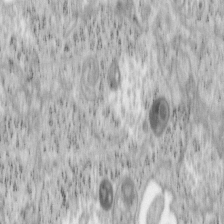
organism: Human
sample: HeLa cells